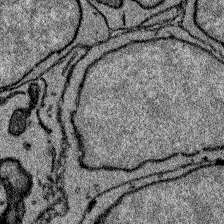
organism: Zebrafish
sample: Larval olfactory bulb